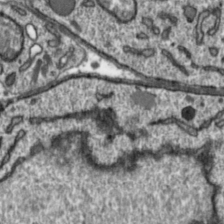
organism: Toxoplasma gondii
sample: Parasites in a vacuole inside a host cell